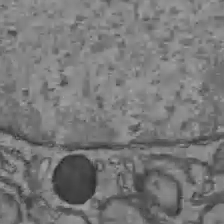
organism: C57BL Mouse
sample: Liver